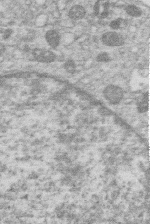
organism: Human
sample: Macrophage cells